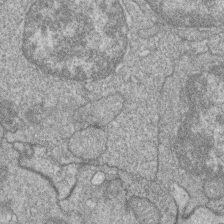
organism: Zebrafish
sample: Cilia; retinal pigment epithelium